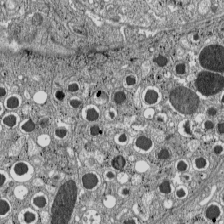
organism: C57BL Mouse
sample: Pancreatic islet